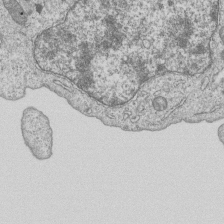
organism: Human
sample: MDA-MB-231 cells